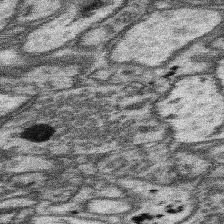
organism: Mouse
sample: Somatosensory cortex neuropil